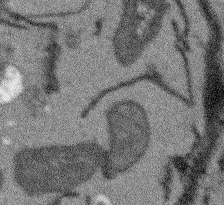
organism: Arabidopsis thaliana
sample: Root tip